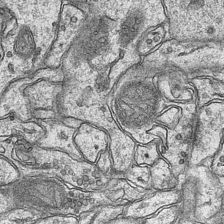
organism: Mouse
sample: CA1 Hippocampus